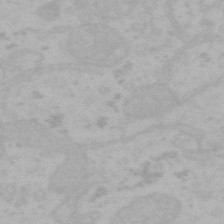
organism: Mouse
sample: Choroid plexus